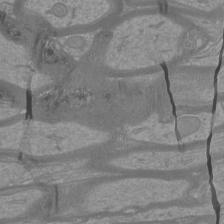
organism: Mouse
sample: Cortical neurons